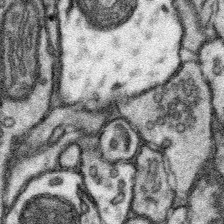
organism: Mouse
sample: Somatosensory cortex neuropil